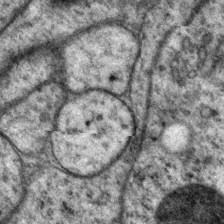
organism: P. pacificus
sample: Pharynx